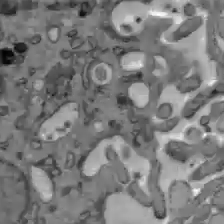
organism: C57BL Mouse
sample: Liver